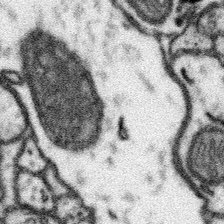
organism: Mouse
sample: Somatosensory cortex neuropil